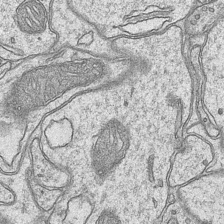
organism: Mouse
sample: CA1 Hippocampus